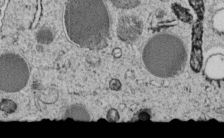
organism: C. elegans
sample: C. elegans embryo early stage